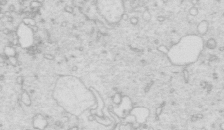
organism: Mouse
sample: Multiciliated cells